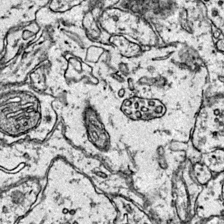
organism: Mouse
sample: Primary visual cortex